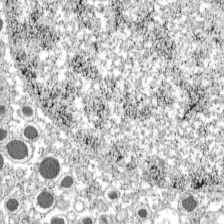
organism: C57BL Mouse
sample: Pancreatic islet